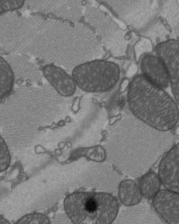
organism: C57BL Mouse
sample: Heart